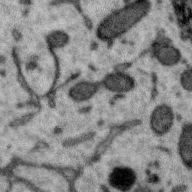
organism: Zebra finch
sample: Brain